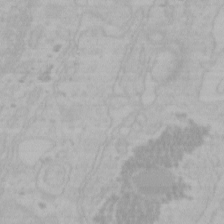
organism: Mouse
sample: Choroid plexus